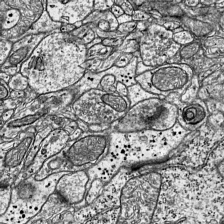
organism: Mouse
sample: Visual Cortex